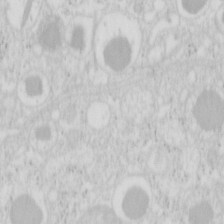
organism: Mouse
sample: Pancreas